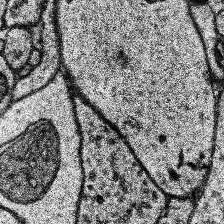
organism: Human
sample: Temporal Lobe